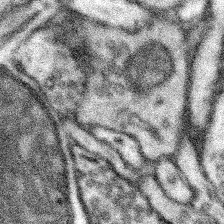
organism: Mouse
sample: Somatosensory cortex neuropil